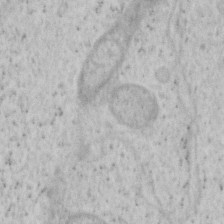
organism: Human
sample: HeLa cells